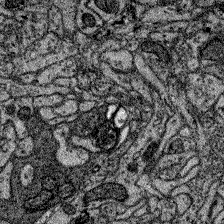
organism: Zebrafish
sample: Larval olfactory bulb